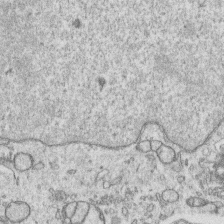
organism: Human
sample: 1205lu cells